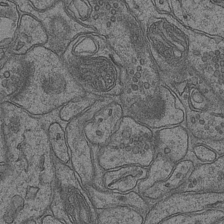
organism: Mouse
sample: CA1 Hippocampus